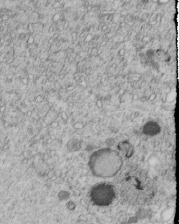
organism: C. elegans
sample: C. elegans embryo early stage